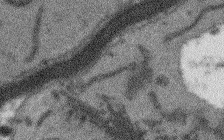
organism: Arabidopsis thaliana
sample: Root tip